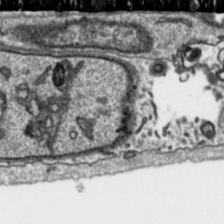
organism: Toxoplasma gondii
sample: Parasites in a vacuole inside a host cell